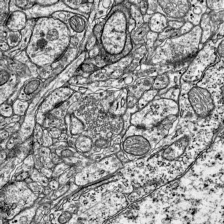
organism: Mouse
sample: Visual Cortex